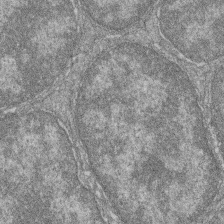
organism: Zebrafish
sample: Cilia; retinal pigment epithelium